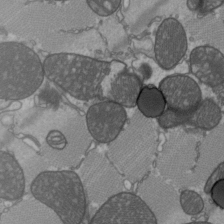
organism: C57BL Mouse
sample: Heart